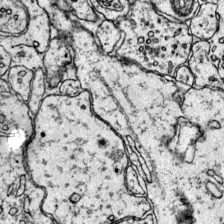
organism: Mouse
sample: Primary visual cortex